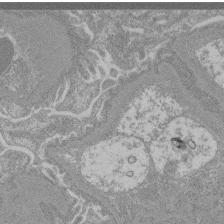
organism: Mouse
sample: Glomerulus